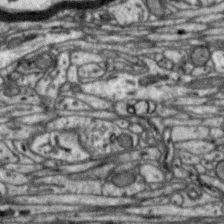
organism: Zebra finch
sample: Brain